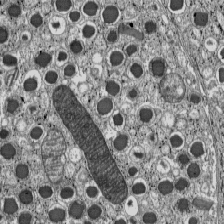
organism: C57BL Mouse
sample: Pancreatic islet